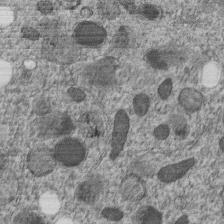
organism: C. elegans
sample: C. elegans embryo early stage